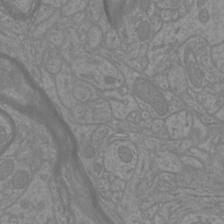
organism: Mouse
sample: Cortical neurons